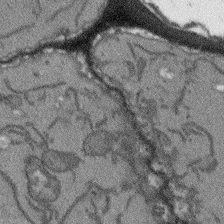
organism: Arabidopsis thaliana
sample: Root tip